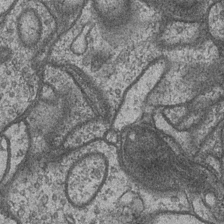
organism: Drosophila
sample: Optic medulla